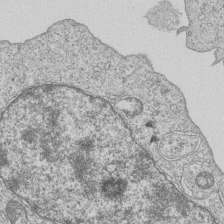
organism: Human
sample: MDA-MB-231 cells